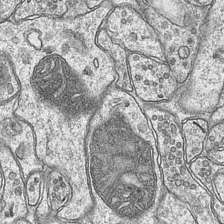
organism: Mouse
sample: CA1 Hippocampus